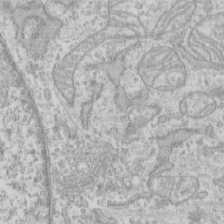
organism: Human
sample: CRL-1474